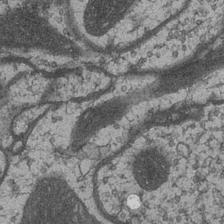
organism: Drosophila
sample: Optic medulla